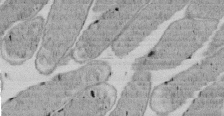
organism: E. coli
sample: Bacterial nucleoid